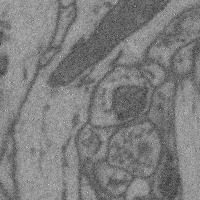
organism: Mouse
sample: Cerebral cortex